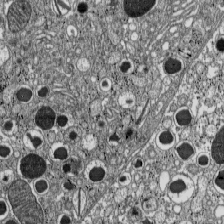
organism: C57BL Mouse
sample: Pancreatic islet